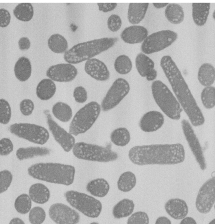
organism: E. coli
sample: Bacterial nucleoid